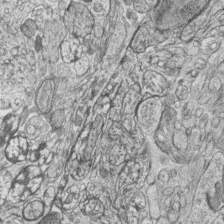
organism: Zebrafish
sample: synaptic ribbons in rod cells and cone cells